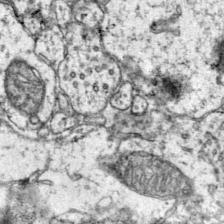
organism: Mouse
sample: Primary visual cortex